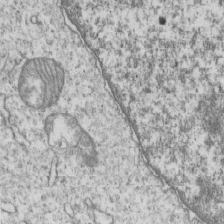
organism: Human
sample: MDA-MB-231 cells